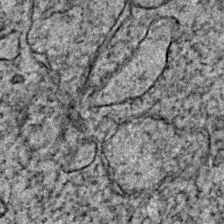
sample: Trachea